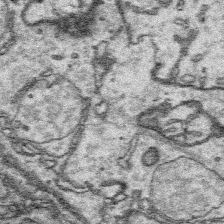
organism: Platynereis dumerilii